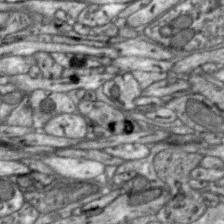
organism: Zebra finch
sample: Brain